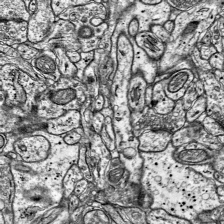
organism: Mouse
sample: Visual Cortex